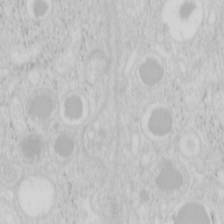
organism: Mouse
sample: Pancreas